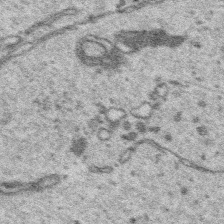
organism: Platynereis dumerilii